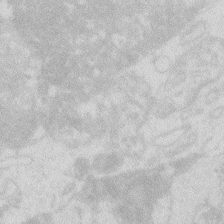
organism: Zebrafish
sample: Macrophage